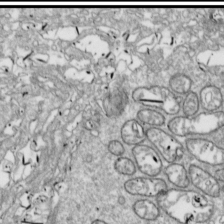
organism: Drosophila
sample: Cell division; meiosis; drosophila spermatocytes